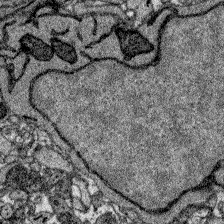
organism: Zebrafish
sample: Larval olfactory bulb